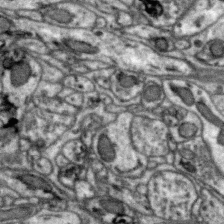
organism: Zebra finch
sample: Brain